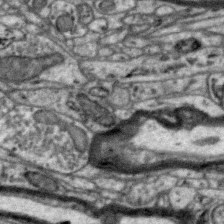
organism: Zebra finch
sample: Brain